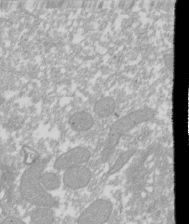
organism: Xenopus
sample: Cilia; centrioles in frog embryo cells